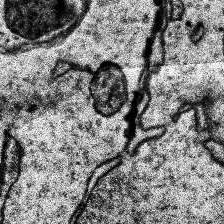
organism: Human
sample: Temporal Lobe